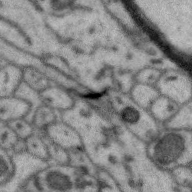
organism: Zebra finch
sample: Brain